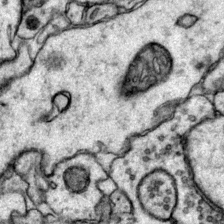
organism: Mouse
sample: Primary visual cortex